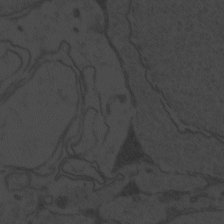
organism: Zebrafish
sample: Macrophage infected with Toxoplasma gondii